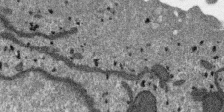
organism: Human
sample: Lung epithelial cells, uninfected (mock) control